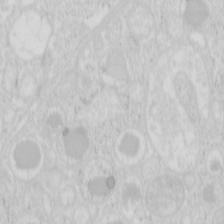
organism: Mouse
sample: Pancreas